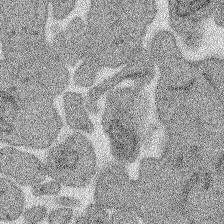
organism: Human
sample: HeLa cells